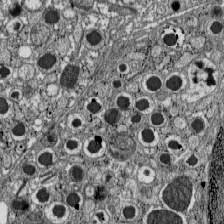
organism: C57BL Mouse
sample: Pancreatic islet